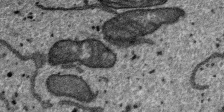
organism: Human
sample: Lung epithelial cells, uninfected (mock) control